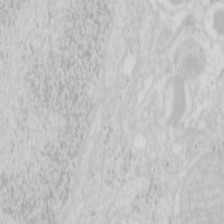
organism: Mouse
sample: Pancreas